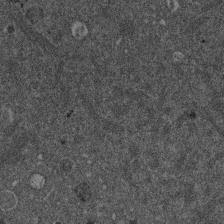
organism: Mouse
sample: Dividing mouse embryo 1 cell stage